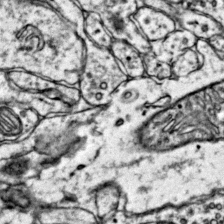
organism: Mouse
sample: Primary visual cortex